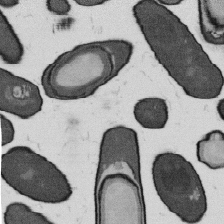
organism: B. subtilis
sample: Bacterial spore